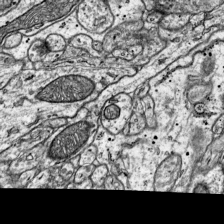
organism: Mouse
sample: Visual Cortex